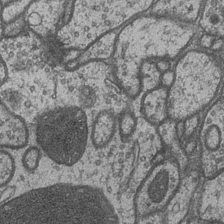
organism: Drosophila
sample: Optic medulla